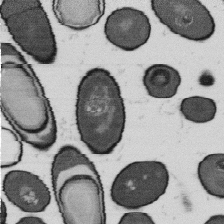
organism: B. subtilis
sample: Bacterial spore